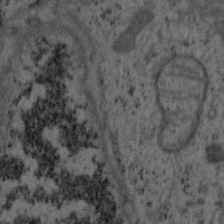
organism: Human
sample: HeLa cells